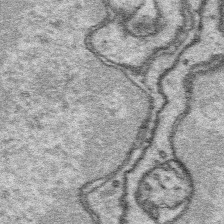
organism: Platynereis dumerilii